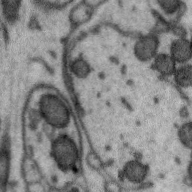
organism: Zebra finch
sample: Brain